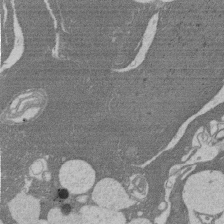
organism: Rat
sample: Salivary granule